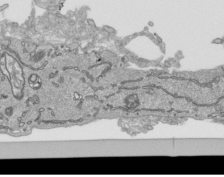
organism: Human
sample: Mitochondria in HCT116 cells